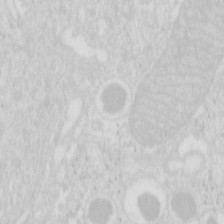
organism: Mouse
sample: Pancreas